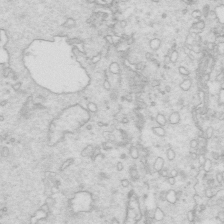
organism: Mouse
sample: Multiciliated cells